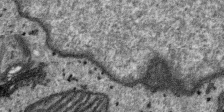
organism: Human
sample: Lung epithelial cells, uninfected (mock) control